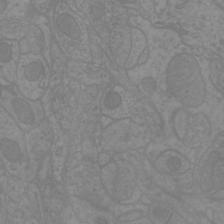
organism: Mouse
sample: Cortical neurons